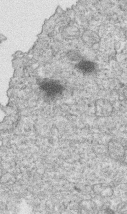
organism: Human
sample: HeLa cell HIV synapse